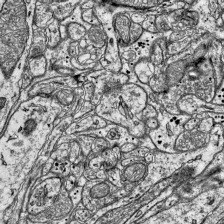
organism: Mouse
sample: Visual Cortex